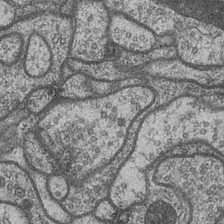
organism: Drosophila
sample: Optic medulla